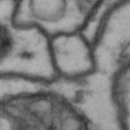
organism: Drosophila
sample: Brain